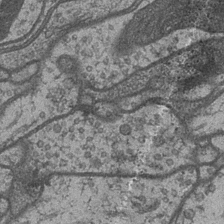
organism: Drosophila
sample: Optic medulla